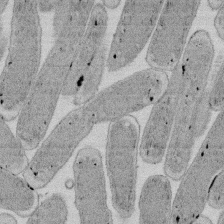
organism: E. coli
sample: Bacterial nucleoid